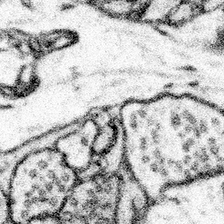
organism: Mouse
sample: Somatosensory cortex neuropil